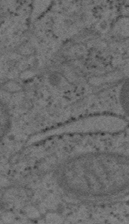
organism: Human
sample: HeLa cells